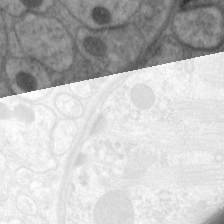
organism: C. elegans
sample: Pharynx